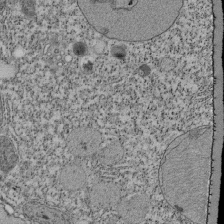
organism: Tetrahymena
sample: Cilia in tetrahymena